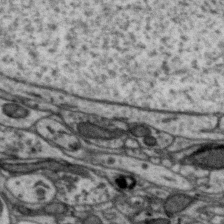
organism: Zebra finch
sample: Brain